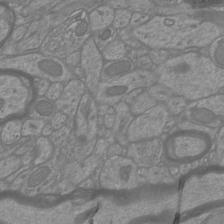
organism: Mouse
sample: Cortical neurons